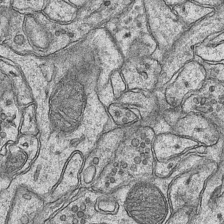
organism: Mouse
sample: CA1 Hippocampus